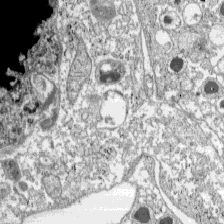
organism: C57BL Mouse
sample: Pancreatic islet